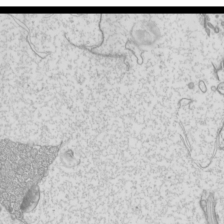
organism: Mouse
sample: Cilia; mouse epididymis